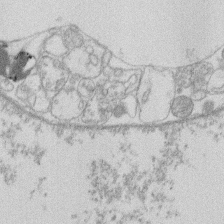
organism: Human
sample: Macrophage cells